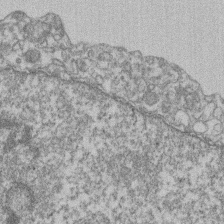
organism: Mouse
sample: T cell stromal cell synapse